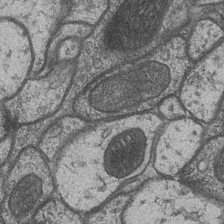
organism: Drosophila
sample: Optic medulla